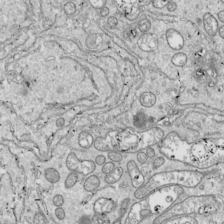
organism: Drosophila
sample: Cell division; meiosis; drosophila spermatocytes